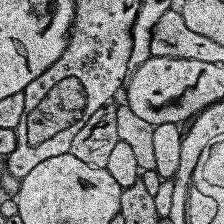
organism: Human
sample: Temporal Lobe